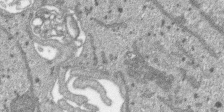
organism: Human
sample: Lung epithelial cells infected with SARS-CoV-2